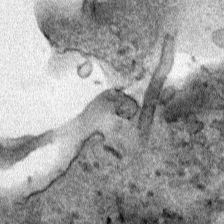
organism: Human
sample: Mitochondria in HCT116 cells